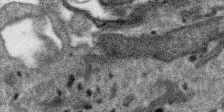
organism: Human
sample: Lung epithelial cells infected with SARS-CoV-2